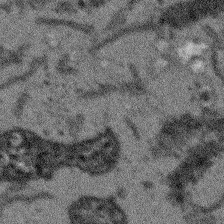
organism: Arabidopsis thaliana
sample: Root tip